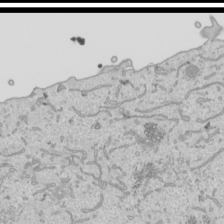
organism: Human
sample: Mitochondria in HCT116 cells